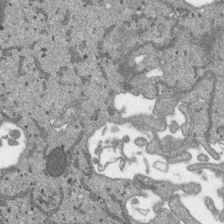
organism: Human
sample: Lung epithelial cells infected with SARS-CoV-2